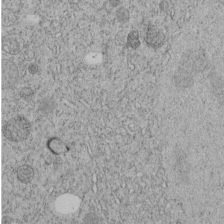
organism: C. elegans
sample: C. elegans embryo early stage